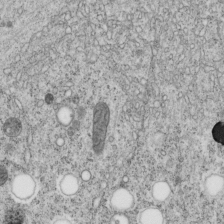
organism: C. elegans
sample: C. elegans embryo early stage